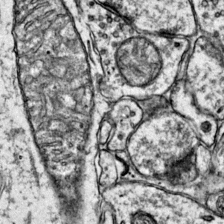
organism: Mouse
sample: Primary visual cortex